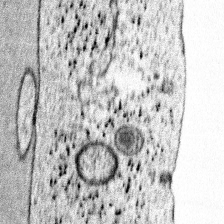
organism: Human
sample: HeLa cells